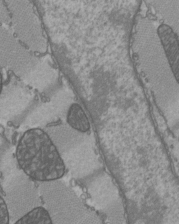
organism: C57BL Mouse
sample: Heart